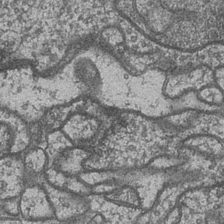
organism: Drosophila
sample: Optic medulla